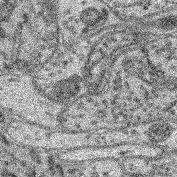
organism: Mouse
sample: Retina